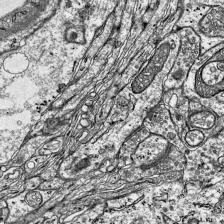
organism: Mouse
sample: Visual Cortex